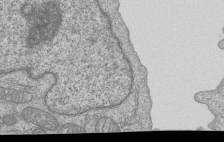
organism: Human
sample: MDA-MB-231 cells